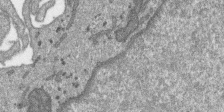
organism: Human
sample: Lung epithelial cells infected with SARS-CoV-2